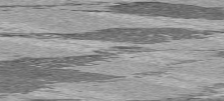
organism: C57BL Mouse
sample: Heart